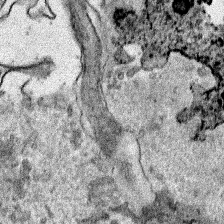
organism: Human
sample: Mitochondria in HCT116 cells